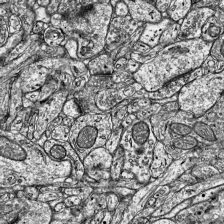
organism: Mouse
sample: Visual Cortex